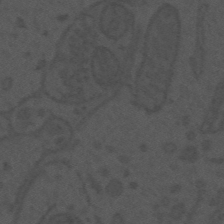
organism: Mouse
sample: Suprachiasmatic nucleus